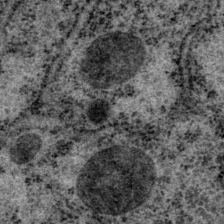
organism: P. pacificus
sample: Pharynx